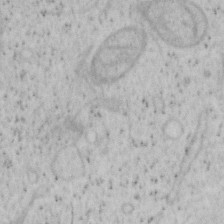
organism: Human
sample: HeLa cells